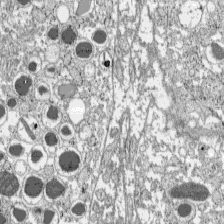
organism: C57BL Mouse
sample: Pancreatic islet